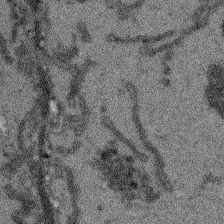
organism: Arabidopsis thaliana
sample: Root tip